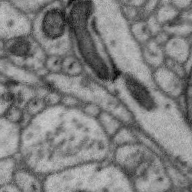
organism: Zebra finch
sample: Brain